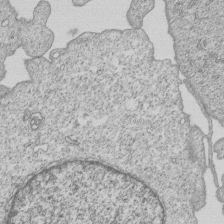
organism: Human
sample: MDA-MB-231 cells